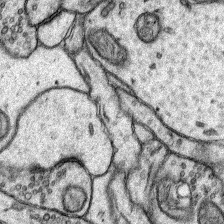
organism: Rat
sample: Hippocampus